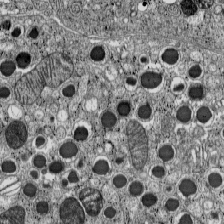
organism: C57BL Mouse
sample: Pancreatic islet